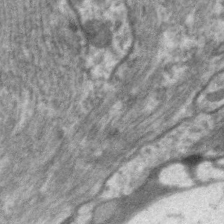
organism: C. elegans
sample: Pharynx